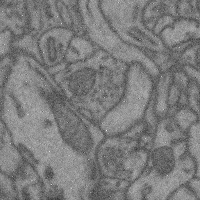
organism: Mouse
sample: Cerebral cortex